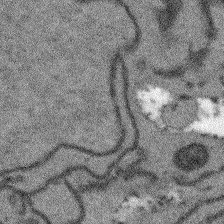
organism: Arabidopsis thaliana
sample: Root tip